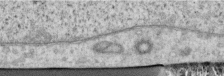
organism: Human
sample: Centriole in RPE cells